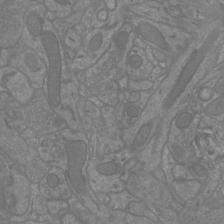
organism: Mouse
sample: Cortical neurons